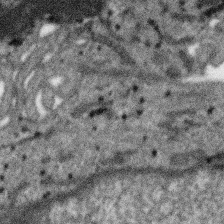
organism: Human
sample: Lung epithelial cells infected with SARS-CoV-2